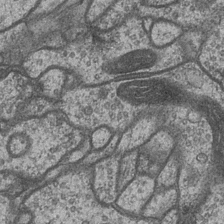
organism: Drosophila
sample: Optic medulla